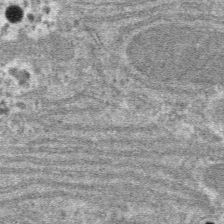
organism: Mouse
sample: Mouse hepatocytes